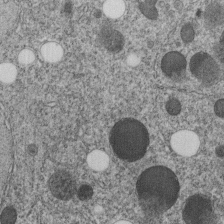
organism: C. elegans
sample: C. elegans embryo early stage